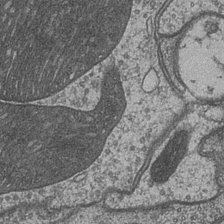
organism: Drosophila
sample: Optic medulla